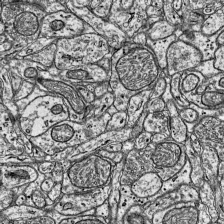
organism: Mouse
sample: Visual Cortex